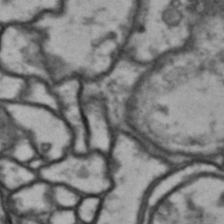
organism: Drosophila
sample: Brain